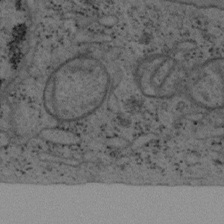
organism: Human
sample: HeLa cells